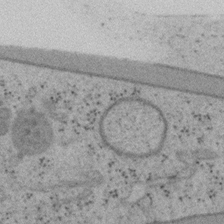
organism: Human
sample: HeLa cells